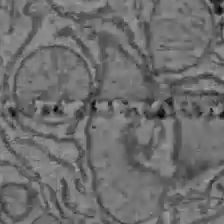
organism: C57BL Mouse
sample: Liver